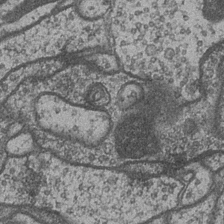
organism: Drosophila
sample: Optic medulla